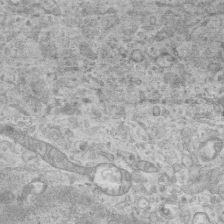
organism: Mouse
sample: Centriole in ependymal cells